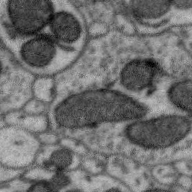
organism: Zebra finch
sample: Brain